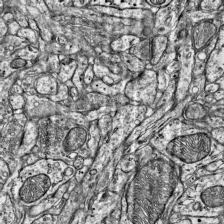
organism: Mouse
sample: Visual Cortex